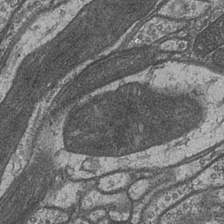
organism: Drosophila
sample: Optic medulla